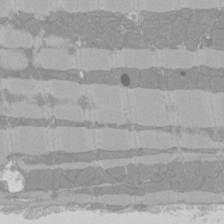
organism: Rat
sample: Left ventricle